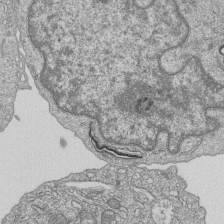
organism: Human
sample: MDA-MB-231 cells